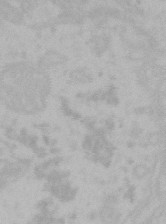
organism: Mouse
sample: Choroid plexus